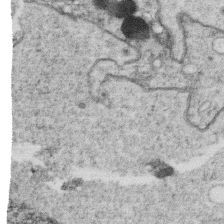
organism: C. elegans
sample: C. elegans oocyte; sperm cells